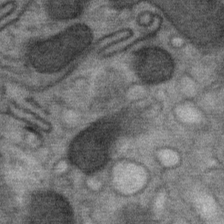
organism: Mouse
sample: Mouse Salivary gland